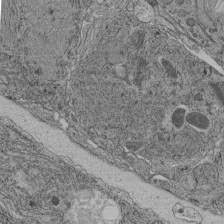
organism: C. elegans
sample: C. elegans pharynx